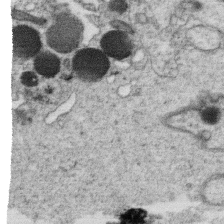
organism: C. elegans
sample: C. elegans oocyte; sperm cells